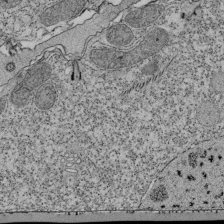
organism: Tetrahymena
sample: Cilia in tetrahymena